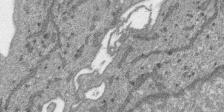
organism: Human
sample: Lung epithelial cells infected with SARS-CoV-2